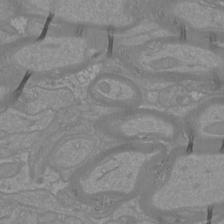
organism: Mouse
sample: Cortical neurons